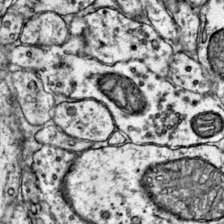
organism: Mouse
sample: Primary visual cortex